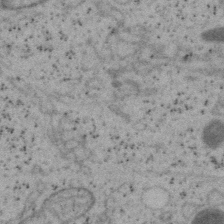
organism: Human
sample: HeLa cells